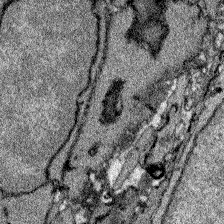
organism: Zebrafish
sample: Larval olfactory bulb